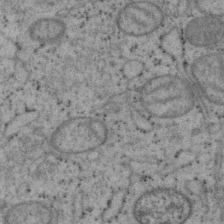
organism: Human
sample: HeLa cells